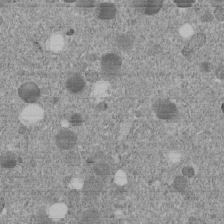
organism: C. elegans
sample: C. elegans embryo early stage